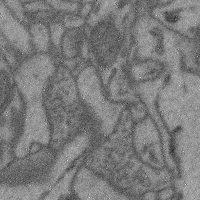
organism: Mouse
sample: Cerebral cortex